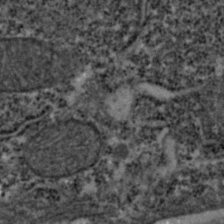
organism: Zebrafish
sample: Zebrafish embryo